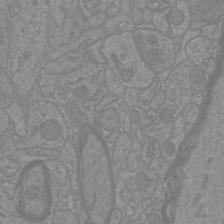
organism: Mouse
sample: Cortical neurons